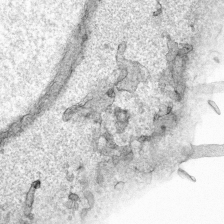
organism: Human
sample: Mitochondria in HCT116 cells